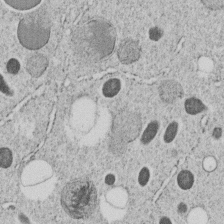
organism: C. elegans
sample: C. elegans embryo early stage